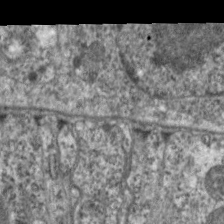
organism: C. elegans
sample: Pharynx